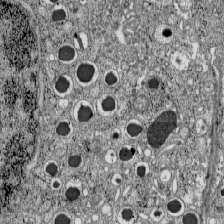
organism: C57BL Mouse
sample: Pancreatic islet